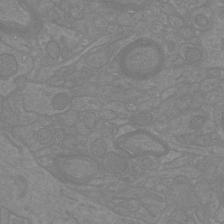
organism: Mouse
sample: Cortical neurons